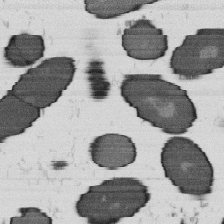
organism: B. subtilis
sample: Bacterial spore